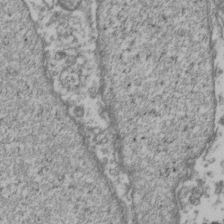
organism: Human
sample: Activated Jurkat CD4+ T cells